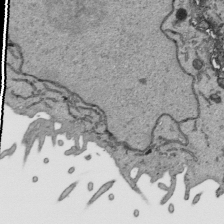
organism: Human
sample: Mitochondria in HCT116 cells